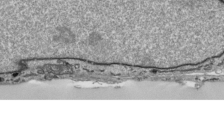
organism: Human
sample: Mitochondria in HCT116 cells